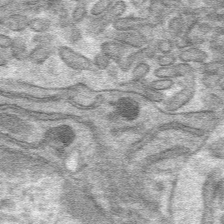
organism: Mouse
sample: Mouse hepatocytes